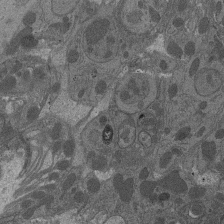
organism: Drosophila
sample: Antenna